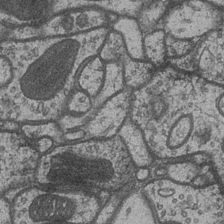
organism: Drosophila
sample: Optic medulla